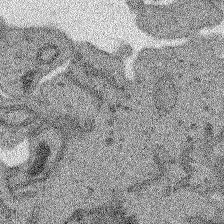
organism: Human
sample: HeLa cells